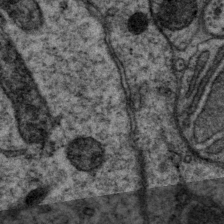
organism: P. pacificus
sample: Pharynx